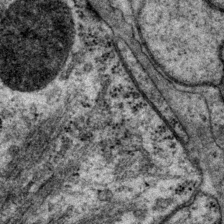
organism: P. pacificus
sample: Pharynx